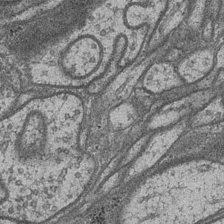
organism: Drosophila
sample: Optic medulla